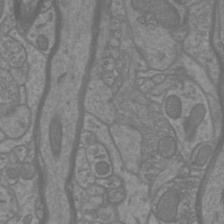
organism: Mouse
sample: Cortical neurons